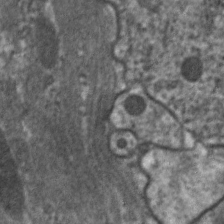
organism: C. elegans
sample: Pharynx